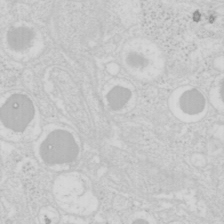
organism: Mouse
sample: Pancreas